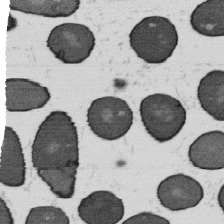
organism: B. subtilis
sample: Bacterial spore